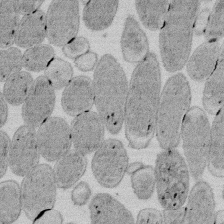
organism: E. coli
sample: Bacterial nucleoid